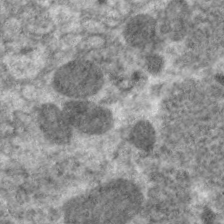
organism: C. elegans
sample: Pharynx